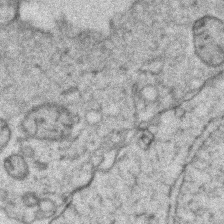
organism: Zebrafish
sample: Zebrafish embryo